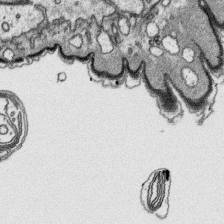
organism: Platynereis dumerilii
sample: Parapodia